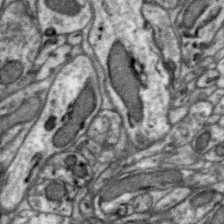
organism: Zebra finch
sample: Brain